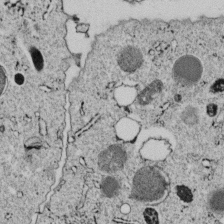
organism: C. elegans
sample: C. elegans embryo early stage